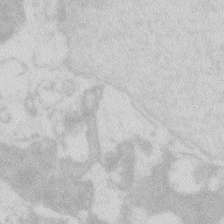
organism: Zebrafish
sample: Macrophage